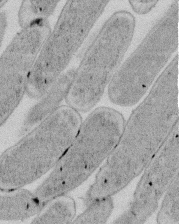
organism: E. coli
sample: Bacterial nucleoid